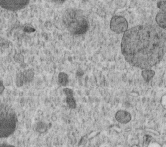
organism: C. elegans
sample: C. elegans embryo early stage